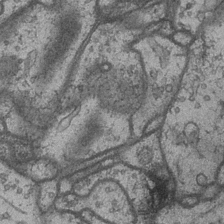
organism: Drosophila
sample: Optic medulla